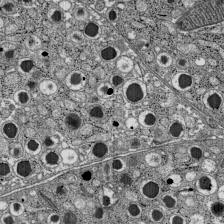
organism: C57BL Mouse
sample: Pancreatic islet